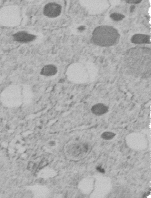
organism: C. elegans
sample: C. elegans embryo early stage